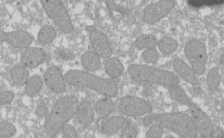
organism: Xenopus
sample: Cilia; centrioles in frog embryo cells